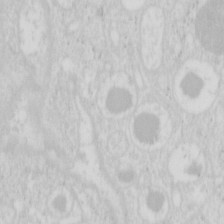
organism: Mouse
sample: Pancreas